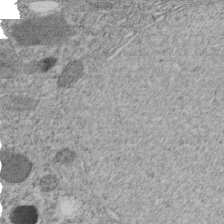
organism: C. elegans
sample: C. elegans embryo early stage